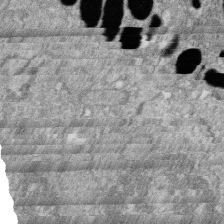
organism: Zebrafish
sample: Cilia; retinal pigment epithelium